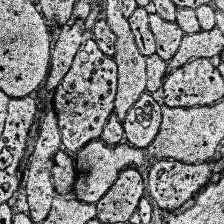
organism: Human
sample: Temporal Lobe